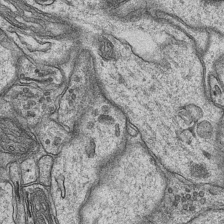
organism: Mouse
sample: CA1 Hippocampus